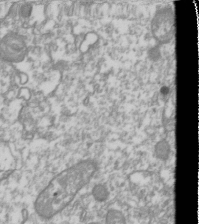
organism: Drosophila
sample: Cell division; meiosis; drosophila spermatocytes